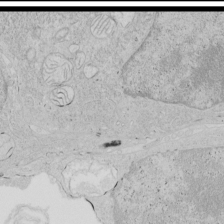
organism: Human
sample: Mitochondria in HCT116 cells